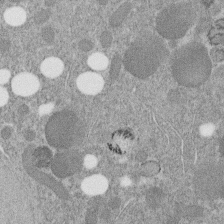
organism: C. elegans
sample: C. elegans embryo early stage